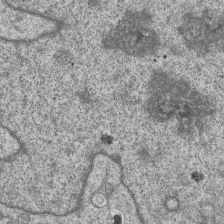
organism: Human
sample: MDA-MB-231 cells